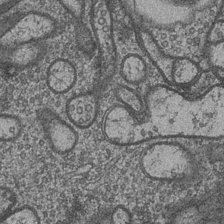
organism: Drosophila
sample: Optic medulla